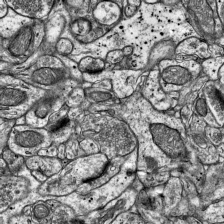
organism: Mouse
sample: Visual Cortex